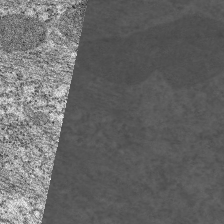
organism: C. elegans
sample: Pharynx